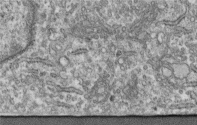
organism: Human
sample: Centriole in fibroblast cells